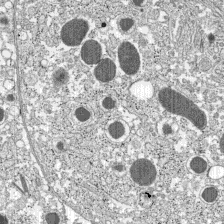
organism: C57BL Mouse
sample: Pancreatic islet